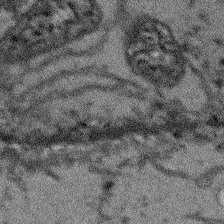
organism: Arabidopsis thaliana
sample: Root tip